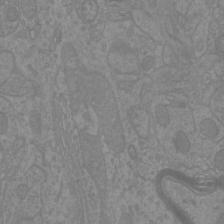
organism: Mouse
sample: Cortical neurons